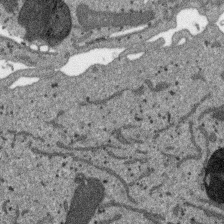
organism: Human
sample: Lung epithelial cells infected with SARS-CoV-2